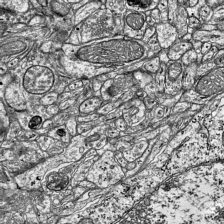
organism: Mouse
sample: Visual Cortex